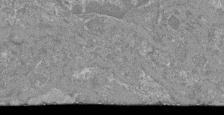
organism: Mouse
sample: Glomerulus